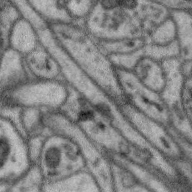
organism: Zebra finch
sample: Brain